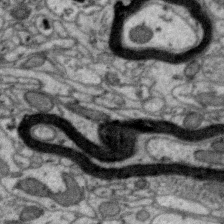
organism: Zebra finch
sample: Brain